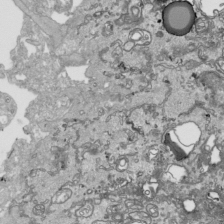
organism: Human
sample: Mitochondria in HCT116 cells